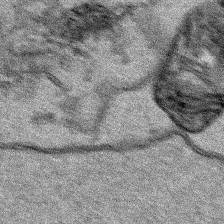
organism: Human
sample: Mitochondria in HCT116 cells